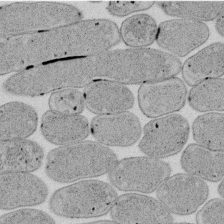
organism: E. coli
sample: Bacterial nucleoid